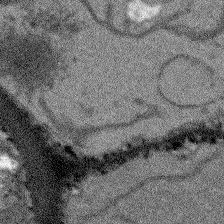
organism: Arabidopsis thaliana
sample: Root tip